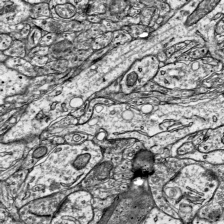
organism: Mouse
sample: Visual Cortex